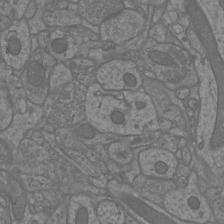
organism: Mouse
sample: Cortical neurons